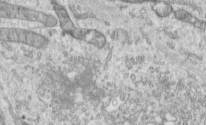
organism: Human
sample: Centriole in RPE cells